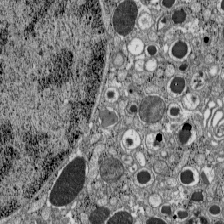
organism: C57BL Mouse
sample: Pancreatic islet